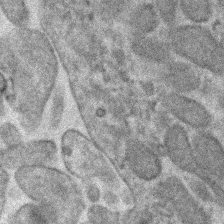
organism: Human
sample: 1205lu cells